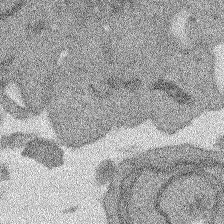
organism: Human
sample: HeLa cells